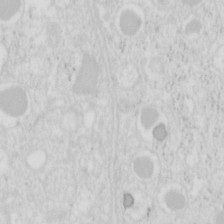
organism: Mouse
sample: Pancreas